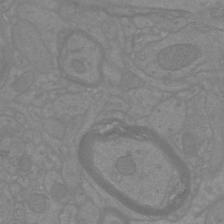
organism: Mouse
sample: Cortical neurons